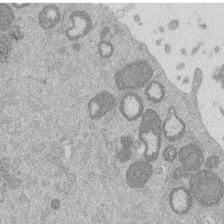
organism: Mouse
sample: Dividing mouse embryo 1 cell stage